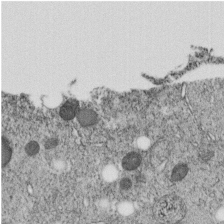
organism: C. elegans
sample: C. elegans embryo early stage